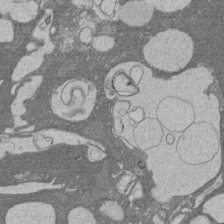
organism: Rat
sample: Salivary granule